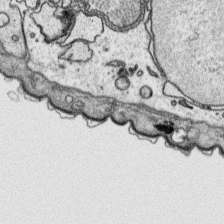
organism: Platynereis dumerilii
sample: Parapodia